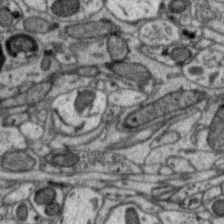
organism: Zebra finch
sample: Brain